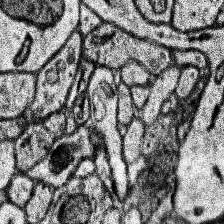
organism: Human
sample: Temporal Lobe